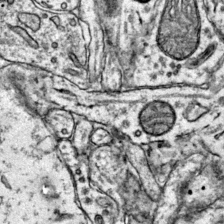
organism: Mouse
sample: Primary visual cortex